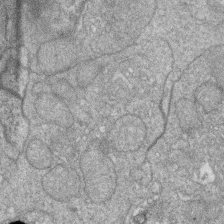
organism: Zebrafish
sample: Cilia; retinal pigment epithelium